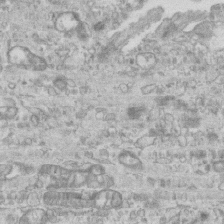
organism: Mouse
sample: Centriole in ependymal cells